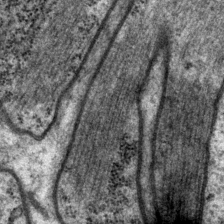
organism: P. pacificus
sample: Pharynx